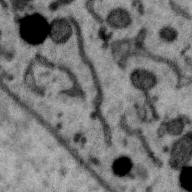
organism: Zebra finch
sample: Brain